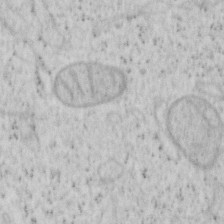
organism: Human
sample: HeLa cells